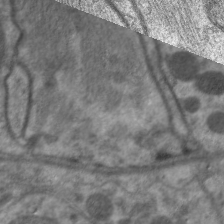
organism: C. elegans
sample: Pharynx